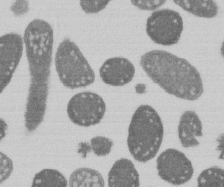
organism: E. coli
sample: Bacterial nucleoid